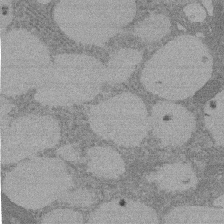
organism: Rat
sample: Salivary granule